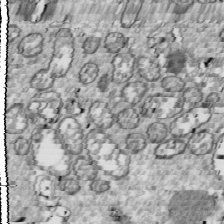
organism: Drosophila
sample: Cell division; meiosis; drosophila spermatocytes